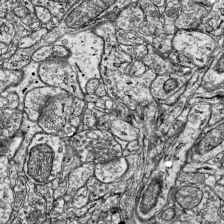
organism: Mouse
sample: Visual Cortex